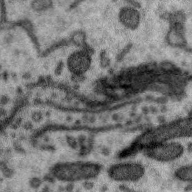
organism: Zebra finch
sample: Brain